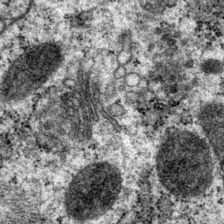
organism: P. pacificus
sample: Pharynx